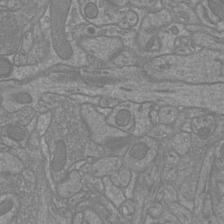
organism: Mouse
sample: Cortical neurons